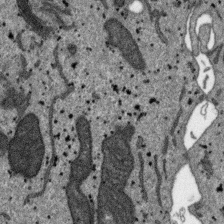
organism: Human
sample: Lung epithelial cells, uninfected (mock) control